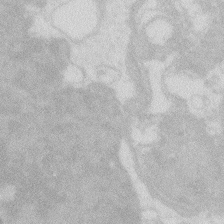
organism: Zebrafish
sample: Macrophage